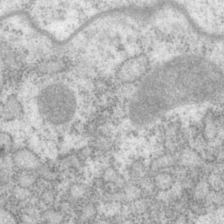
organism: P. pacificus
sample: Pharynx